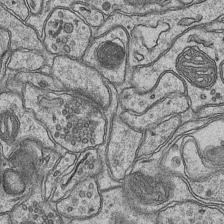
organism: Mouse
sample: CA1 Hippocampus